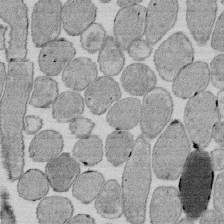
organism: E. coli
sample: Bacterial nucleoid